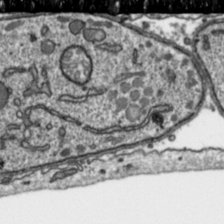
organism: Toxoplasma gondii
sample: Parasites in a vacuole inside a host cell